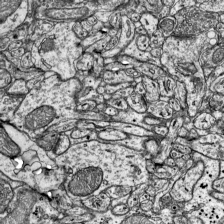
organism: Mouse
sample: Visual Cortex